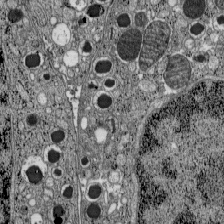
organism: C57BL Mouse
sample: Pancreatic islet